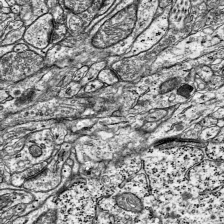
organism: Mouse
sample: Visual Cortex